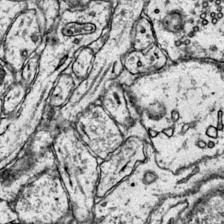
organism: Mouse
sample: Primary visual cortex